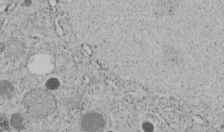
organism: C. elegans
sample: C. elegans embryo early stage